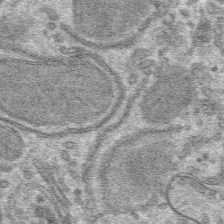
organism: Mouse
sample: Mouse hepatocytes